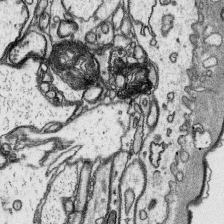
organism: Platynereis dumerilii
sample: Parapodia